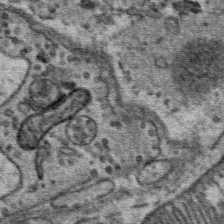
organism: Mouse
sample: Mouse Salivary gland